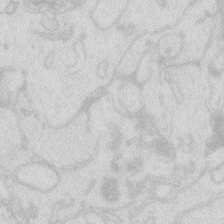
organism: Zebrafish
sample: Macrophage